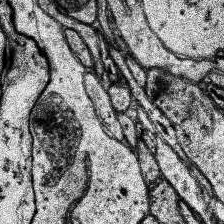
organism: Human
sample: Temporal Lobe